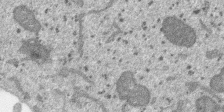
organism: Human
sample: Lung epithelial cells infected with SARS-CoV-2